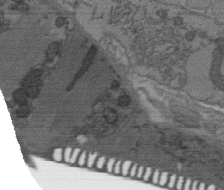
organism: C. elegans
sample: AFD neurons C. elegans